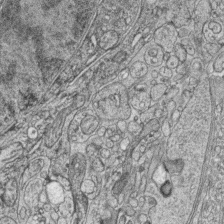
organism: Zebrafish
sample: synaptic ribbons in rod cells and cone cells